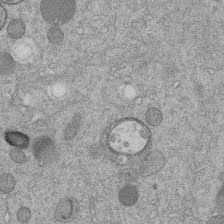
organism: C. elegans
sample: C. elegans embryo early stage